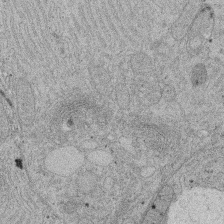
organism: Rat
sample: Salivary granule